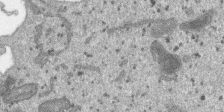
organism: Human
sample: Lung epithelial cells infected with SARS-CoV-2